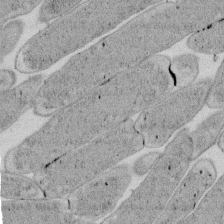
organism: E. coli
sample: Bacterial nucleoid